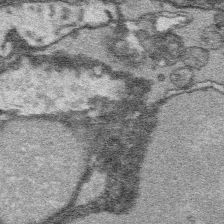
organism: Platynereis dumerilii